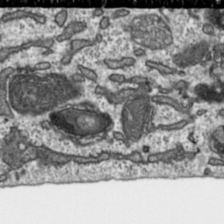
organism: Toxoplasma gondii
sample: Parasites in a vacuole inside a host cell